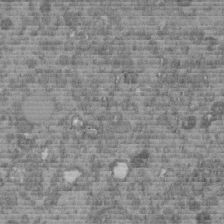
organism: C. elegans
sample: C. elegans embryo early stage